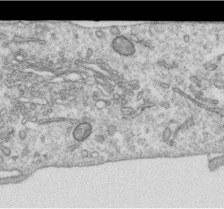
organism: Human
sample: Centriole in RPE cells